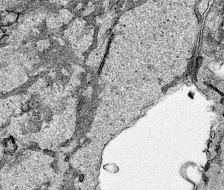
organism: Human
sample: Mitochondria in HCT116 cells